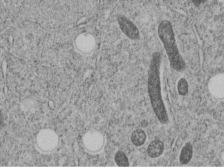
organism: C. elegans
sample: C. elegans embryo early stage